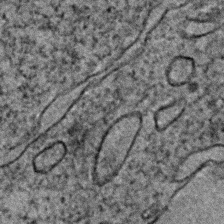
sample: Trachea